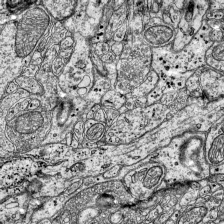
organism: Mouse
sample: Visual Cortex